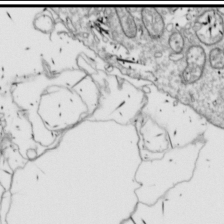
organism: Drosophila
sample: Cell division; meiosis; drosophila spermatocytes